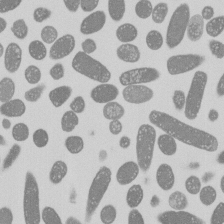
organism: E. coli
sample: Bacterial nucleoid